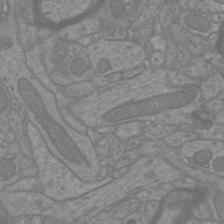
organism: Mouse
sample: Cortical neurons